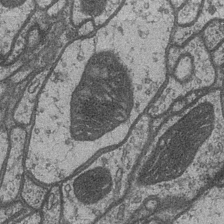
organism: Drosophila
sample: Optic medulla